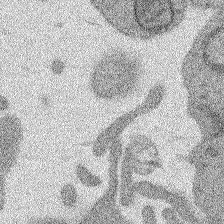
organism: Human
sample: HeLa cells